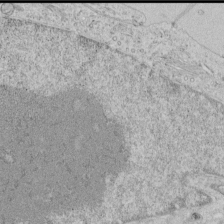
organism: Human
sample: Mitochondria in HCT116 cells